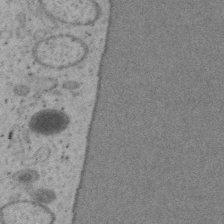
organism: Human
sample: HeLa cells